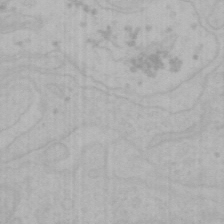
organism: Mouse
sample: Choroid plexus